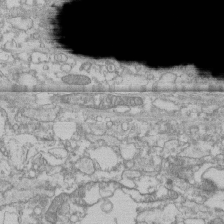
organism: Human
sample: CRL-1474